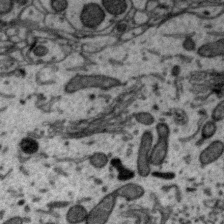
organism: Zebra finch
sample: Brain